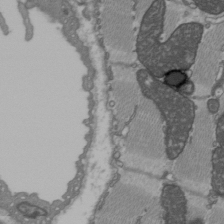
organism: C57BL Mouse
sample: Heart